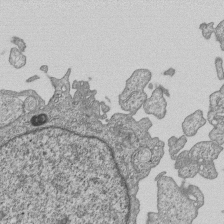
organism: Human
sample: MDA-MB-231 cells